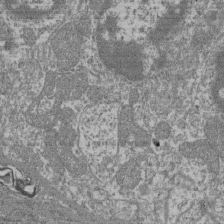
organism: Mouse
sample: Glomerulus